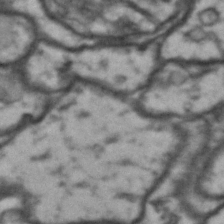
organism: Drosophila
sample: Brain